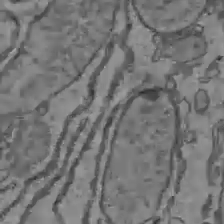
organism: C57BL Mouse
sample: Liver